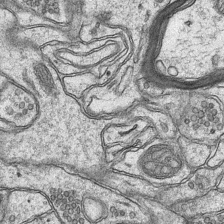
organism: Mouse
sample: CA1 Hippocampus